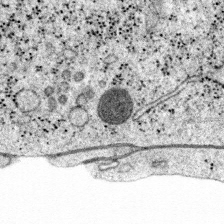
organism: Human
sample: HeLa cells